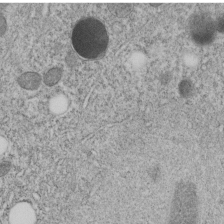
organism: C. elegans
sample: C. elegans embryo early stage